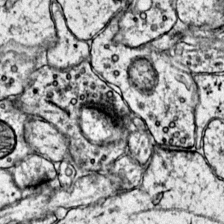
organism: Mouse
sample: Primary visual cortex